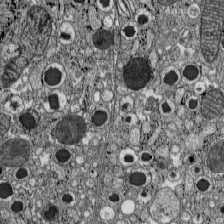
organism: C57BL Mouse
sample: Pancreatic islet